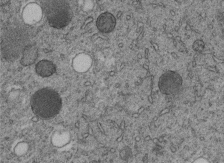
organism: C. elegans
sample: C. elegans embryo early stage